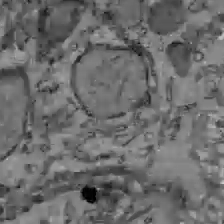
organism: C57BL Mouse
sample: Liver